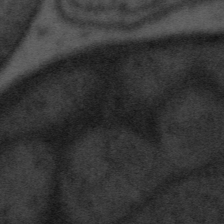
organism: Tuwongella immobilis